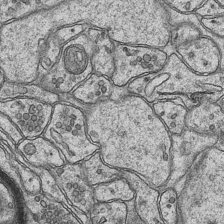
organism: Mouse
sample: CA1 Hippocampus